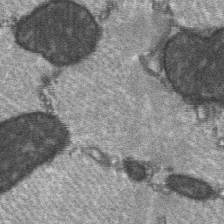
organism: C57BL Mouse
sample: Soleus